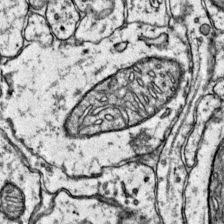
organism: Mouse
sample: Primary visual cortex